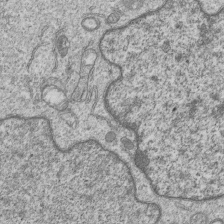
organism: Human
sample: MDA-MB-231 cells